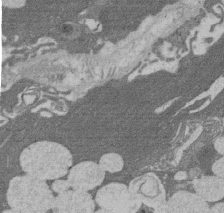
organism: Rat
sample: Salivary granule